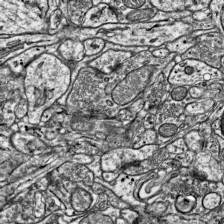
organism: Mouse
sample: Visual Cortex